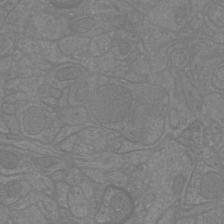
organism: Mouse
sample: Cortical neurons